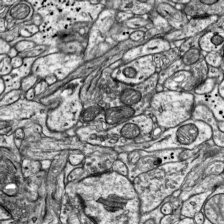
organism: Mouse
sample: Visual Cortex